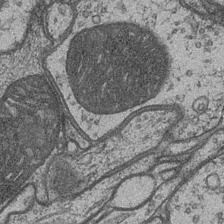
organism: Drosophila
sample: Optic medulla